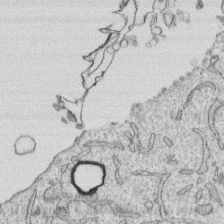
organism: Human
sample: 1205lu cells